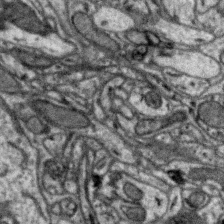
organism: Zebra finch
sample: Brain